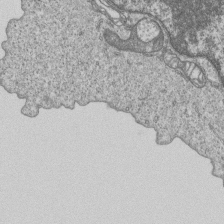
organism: Human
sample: MDA-MB-231 cells